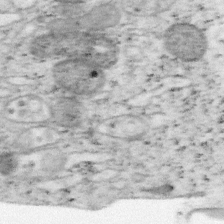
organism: Mouse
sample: OT-I killer T cells with ID8 ovarian cancer cells